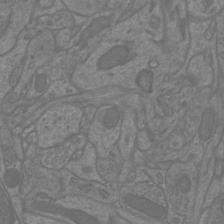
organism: Mouse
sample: Cortical neurons